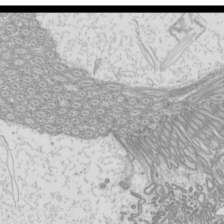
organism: Mouse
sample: Cilia; mouse epididymis